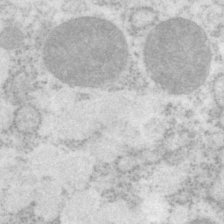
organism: P. pacificus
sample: Pharynx